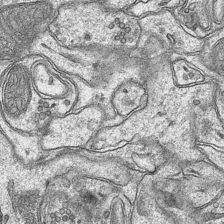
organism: Mouse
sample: CA1 Hippocampus